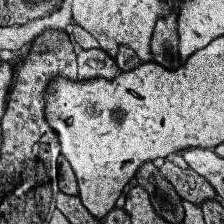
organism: Human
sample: Temporal Lobe